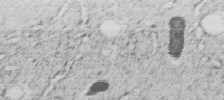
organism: C. elegans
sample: C. elegans embryo early stage